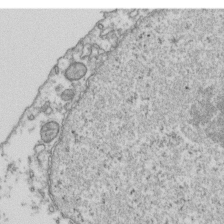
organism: Human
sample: Activated Jurkat CD4+ T cells